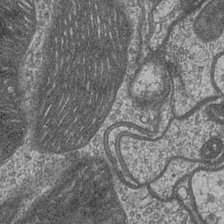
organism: Drosophila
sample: Optic medulla